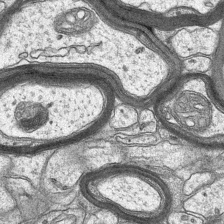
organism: Mouse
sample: CA1 Hippocampus